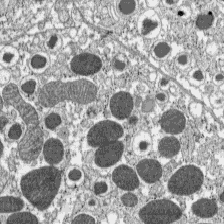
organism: C57BL Mouse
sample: Pancreatic islet